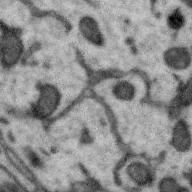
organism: Zebra finch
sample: Brain